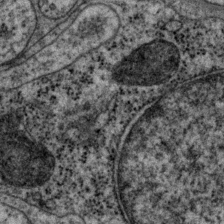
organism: P. pacificus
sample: Pharynx